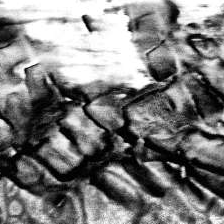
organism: Human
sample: Temporal Lobe